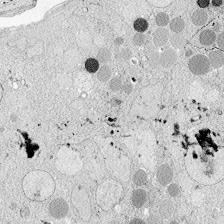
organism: Zebrafish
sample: Whole-Brain